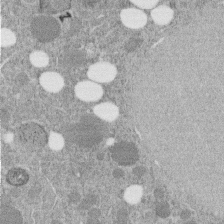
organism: C. elegans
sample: C. elegans embryo early stage